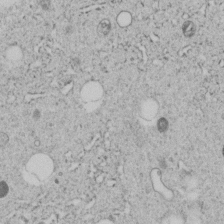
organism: C. elegans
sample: C. elegans embryo early stage